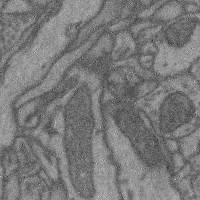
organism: Mouse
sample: Cerebral cortex